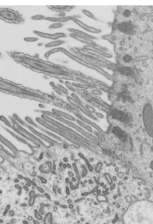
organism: Mouse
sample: Mouse epididymis efferent ductule cilia